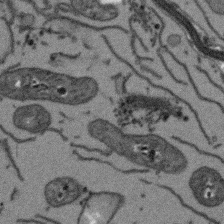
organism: Arabidopsis thaliana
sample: Root tip